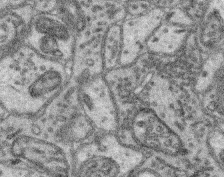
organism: Mouse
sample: Retina